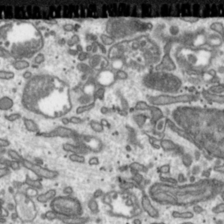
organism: Toxoplasma gondii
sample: Parasites in a vacuole inside a host cell